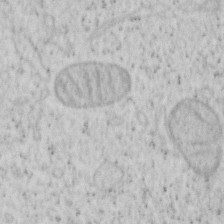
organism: Human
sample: HeLa cells